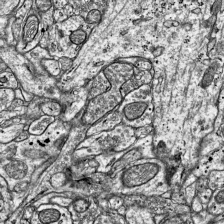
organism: Mouse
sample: Visual Cortex